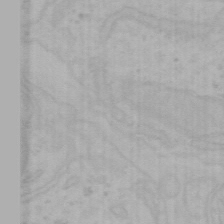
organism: Mouse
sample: Choroid plexus